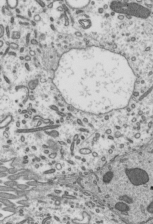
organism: Mouse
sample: Mouse epididymis efferent ductule cilia